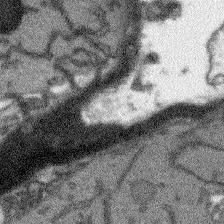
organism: Arabidopsis thaliana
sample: Root tip